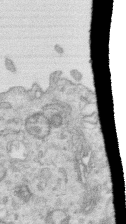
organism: Human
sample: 1205lu cells